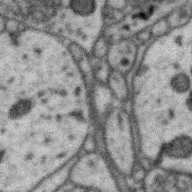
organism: Zebra finch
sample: Brain